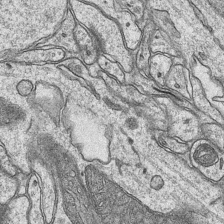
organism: Mouse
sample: CA1 Hippocampus